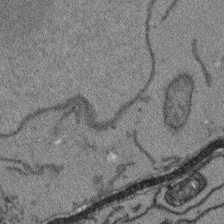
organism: Arabidopsis thaliana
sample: Root tip